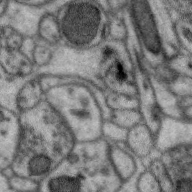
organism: Zebra finch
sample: Brain